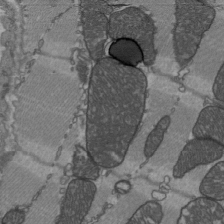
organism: C57BL Mouse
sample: Heart